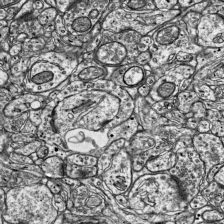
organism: Mouse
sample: Visual Cortex